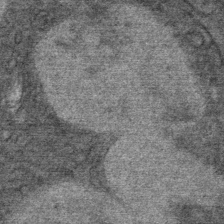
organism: Mouse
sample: Mouse Salivary gland